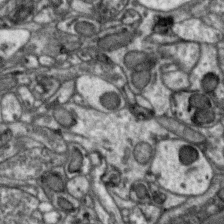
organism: Zebra finch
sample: Brain